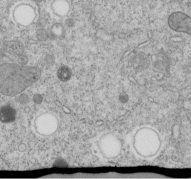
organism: C. elegans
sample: C. elegans embryo early stage